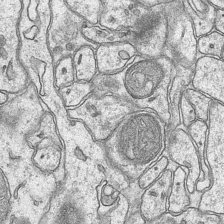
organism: Mouse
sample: CA1 Hippocampus